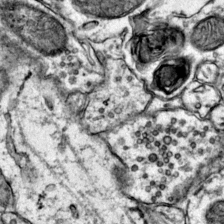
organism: Mouse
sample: Primary visual cortex